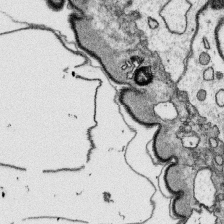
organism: Platynereis dumerilii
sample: Parapodia